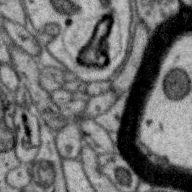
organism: Zebra finch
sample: Brain